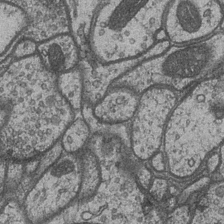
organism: Drosophila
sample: Optic medulla